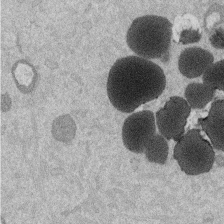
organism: Mouse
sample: Dividing mouse embryo 1 cell stage